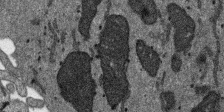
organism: Human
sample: Lung epithelial cells infected with SARS-CoV-2